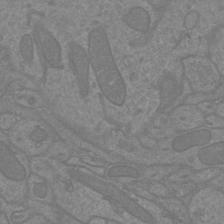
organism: Mouse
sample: Cortical neurons